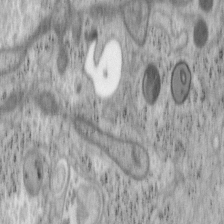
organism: Human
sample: HeLa cells